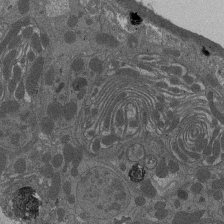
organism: Drosophila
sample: Antenna